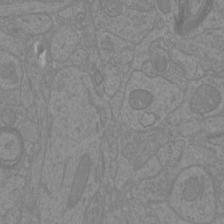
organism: Mouse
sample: Cortical neurons